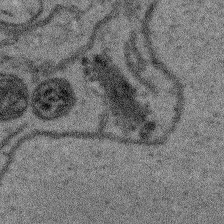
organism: Arabidopsis thaliana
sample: Root tip